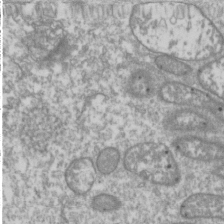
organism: Drosophila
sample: Cell division; meiosis; drosophila spermatocytes